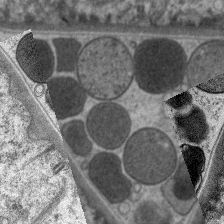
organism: C. elegans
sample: Pharynx